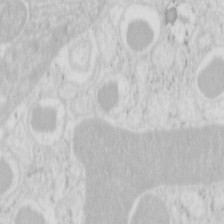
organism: Mouse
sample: Pancreas